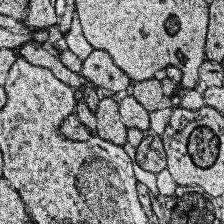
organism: Human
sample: Temporal Lobe